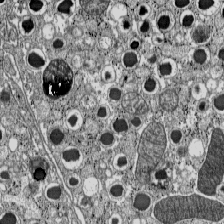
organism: C57BL Mouse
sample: Pancreatic islet